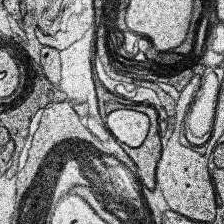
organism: Human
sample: Temporal Lobe